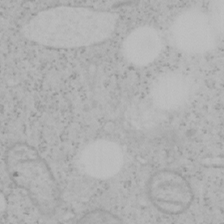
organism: Mouse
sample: OT-I killer T cells with ID8 ovarian cancer cells